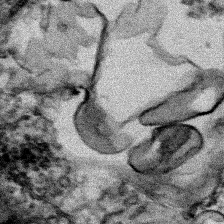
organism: Human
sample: Mitochondria in HCT116 cells